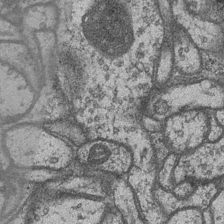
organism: Drosophila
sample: Optic medulla